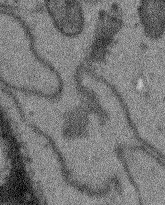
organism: Arabidopsis thaliana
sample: Root tip